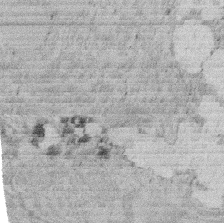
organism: Rat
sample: Salivary granule